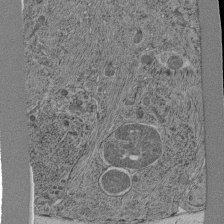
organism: C. elegans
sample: C. elegans pharynx